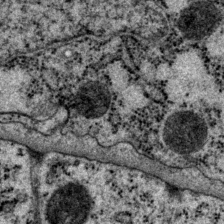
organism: P. pacificus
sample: Pharynx